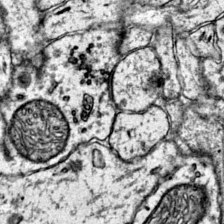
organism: Mouse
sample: Primary visual cortex